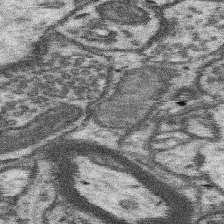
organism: Mouse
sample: Somatosensory cortex neuropil